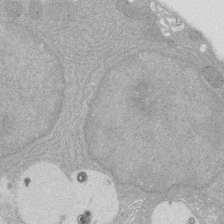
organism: Rat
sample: Salivary granule